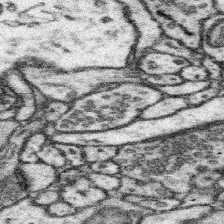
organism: Mouse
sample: Somatosensory cortex neuropil